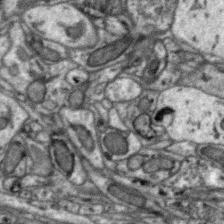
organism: Zebra finch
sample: Brain